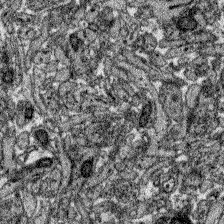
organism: Zebrafish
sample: Larval olfactory bulb